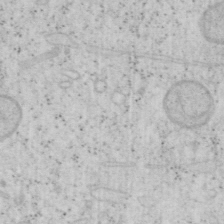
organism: Human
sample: HeLa cells